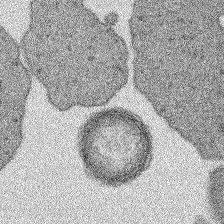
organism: Human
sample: HeLa cells